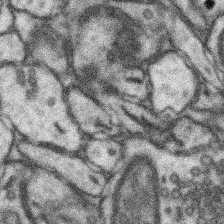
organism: Mouse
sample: Somatosensory cortex neuropil